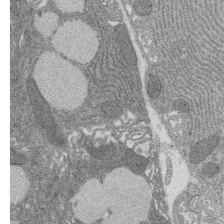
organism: Rat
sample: Salivary granule